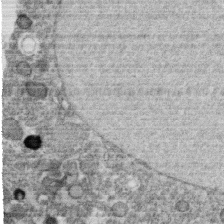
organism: C. elegans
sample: C. elegans oocyte; sperm cells